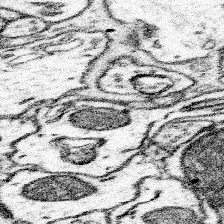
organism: Mouse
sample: Somatosensory cortex neuropil